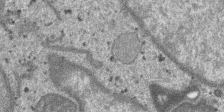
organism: Human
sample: Lung epithelial cells infected with SARS-CoV-2